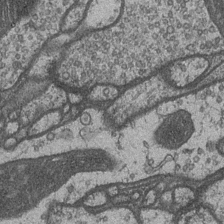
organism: Drosophila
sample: Optic medulla